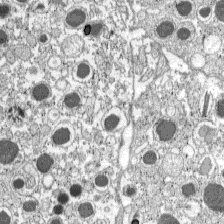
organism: C57BL Mouse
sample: Pancreatic islet